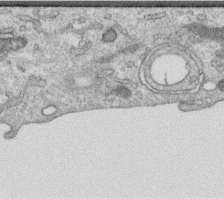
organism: Human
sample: Centriole in RPE cells